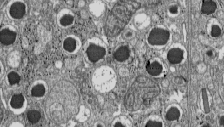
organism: C57BL Mouse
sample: Pancreatic islet